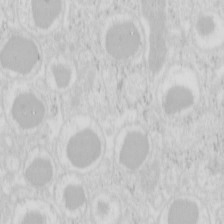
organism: Mouse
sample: Pancreas